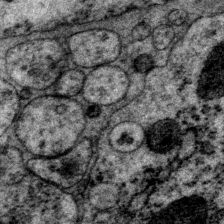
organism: P. pacificus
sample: Pharynx